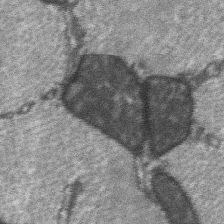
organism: C57BL Mouse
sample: Soleus